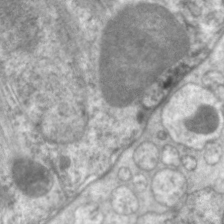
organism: C. elegans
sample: Pharynx